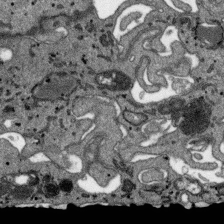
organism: Human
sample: Lung epithelial cells, uninfected (mock) control